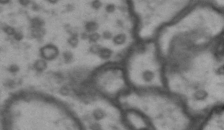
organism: Drosophila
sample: Brain